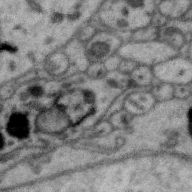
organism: Zebra finch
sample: Brain